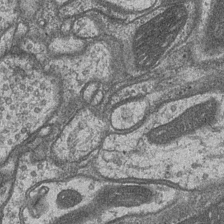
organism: Drosophila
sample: Optic medulla